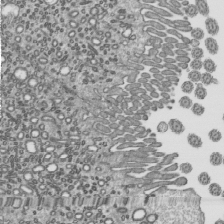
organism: Mouse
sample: Mouse epididymis efferent ductule cilia